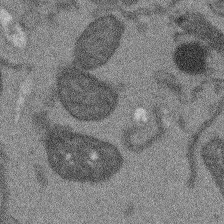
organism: Arabidopsis thaliana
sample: Root tip